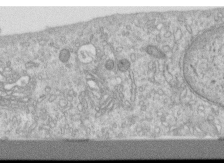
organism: Human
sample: Centriole in RPE cells